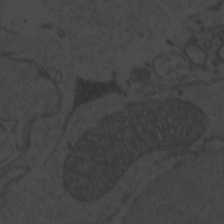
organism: Zebrafish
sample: Macrophage infected with Toxoplasma gondii